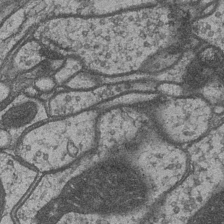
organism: Drosophila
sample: Optic medulla